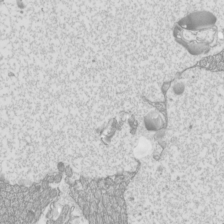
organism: Mouse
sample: Cilia; mouse epididymis